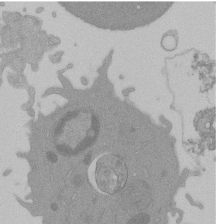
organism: Mouse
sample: Activated Pmel transgenic CD8+ T Cells